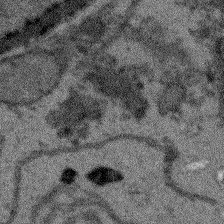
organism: Arabidopsis thaliana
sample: Root tip